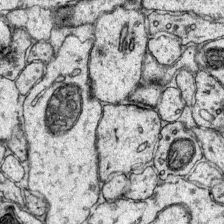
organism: Mouse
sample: Primary visual cortex